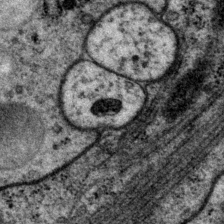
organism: P. pacificus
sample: Pharynx